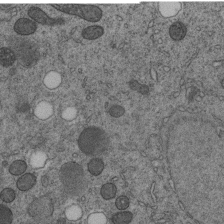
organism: C. elegans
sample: C. elegans embryo early stage